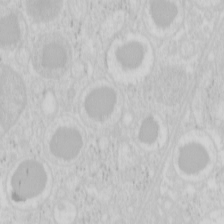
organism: Mouse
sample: Pancreas